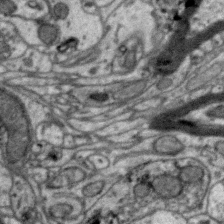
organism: Zebra finch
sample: Brain